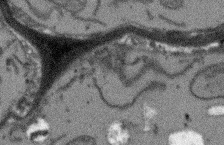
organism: Arabidopsis thaliana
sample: Root tip